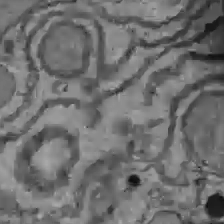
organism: C57BL Mouse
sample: Liver